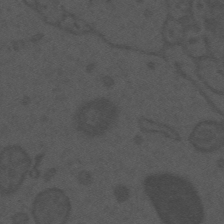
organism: Mouse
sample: Suprachiasmatic nucleus